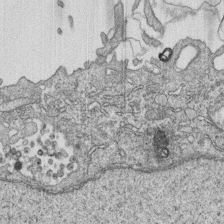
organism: Human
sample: HeLa cell HIV synapse